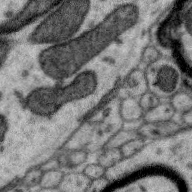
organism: Zebra finch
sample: Brain